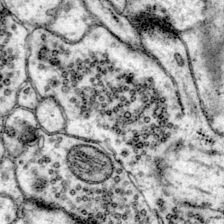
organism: Mouse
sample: Primary visual cortex